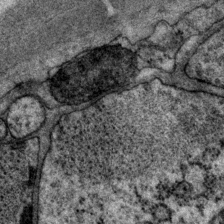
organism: P. pacificus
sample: Pharynx